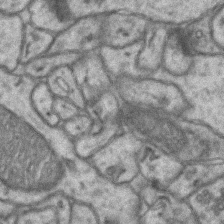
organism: Mouse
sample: CA1 Hippocampus